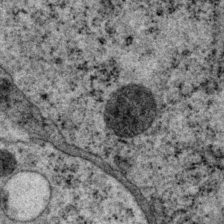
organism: P. pacificus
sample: Pharynx